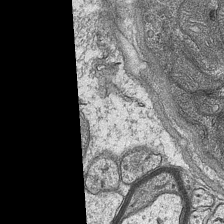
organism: Mouse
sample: CA1 Hippocampus